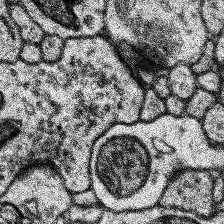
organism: Human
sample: Temporal Lobe